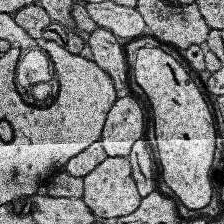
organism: Human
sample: Temporal Lobe